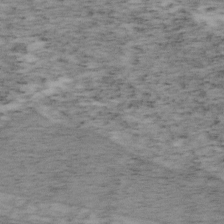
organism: Mouse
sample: OT-I killer T cells with ID8 ovarian cancer cells